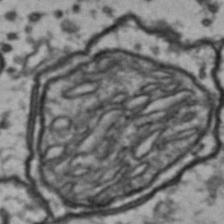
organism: Drosophila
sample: Brain